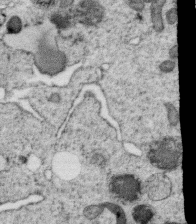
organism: C. elegans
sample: C. elegans oocyte; sperm cells